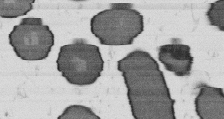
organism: B. subtilis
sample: Bacterial spore